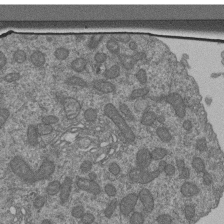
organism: Human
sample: Retinal organoid Rod and Cone cells